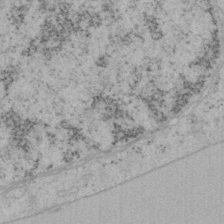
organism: Human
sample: HeLa cells